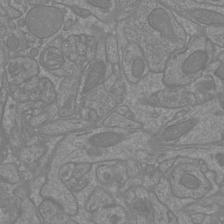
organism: Mouse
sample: Cortical neurons